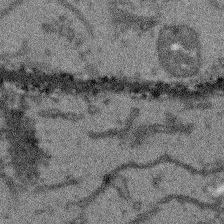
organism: Arabidopsis thaliana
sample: Root tip